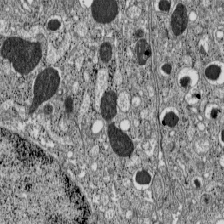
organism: C57BL Mouse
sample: Pancreatic islet